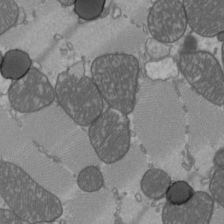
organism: C57BL Mouse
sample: Heart